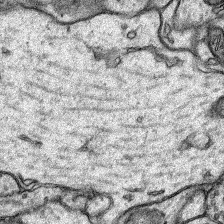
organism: Rat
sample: Hippocampus